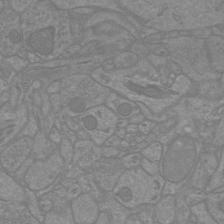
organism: Mouse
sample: Cortical neurons